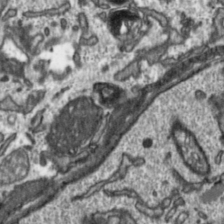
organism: Toxoplasma gondii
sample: Parasites in a vacuole inside a host cell